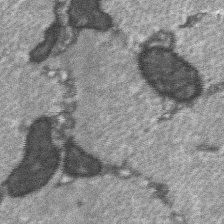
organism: C57BL Mouse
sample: Soleus